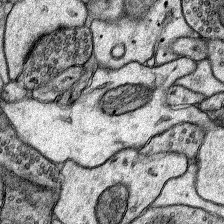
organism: Rat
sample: Hippocampus